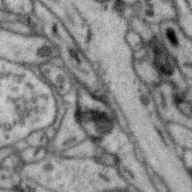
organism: Zebra finch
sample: Brain